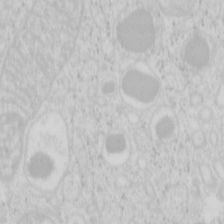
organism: Mouse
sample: Pancreas